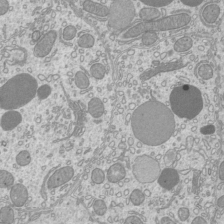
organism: Mouse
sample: Cilia; mouse epididymis